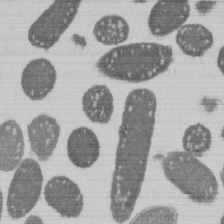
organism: E. coli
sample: Bacterial nucleoid